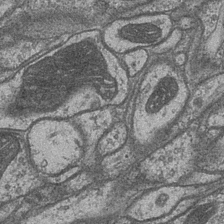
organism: Drosophila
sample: Optic medulla